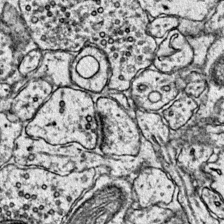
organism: Mouse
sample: Primary visual cortex